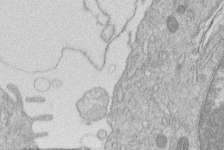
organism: Human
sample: Macrophage cells